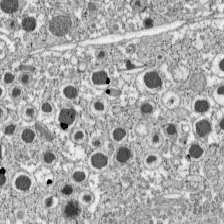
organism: C57BL Mouse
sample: Pancreatic islet